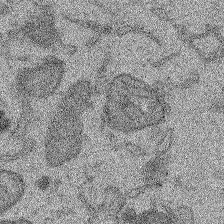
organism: Human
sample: HeLa cells